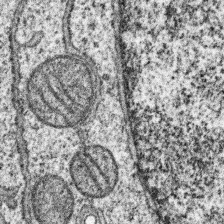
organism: Human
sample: HeLa cells